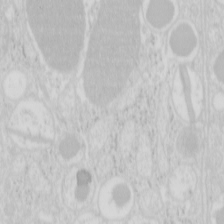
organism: Mouse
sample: Pancreas